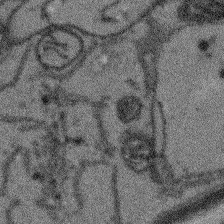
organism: Arabidopsis thaliana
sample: Root tip